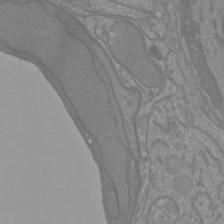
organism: Mouse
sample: Cortical neurons